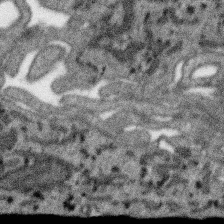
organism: Human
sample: Lung epithelial cells infected with SARS-CoV-2